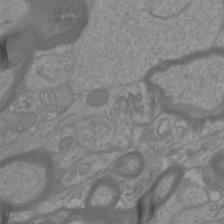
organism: Mouse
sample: Cortical neurons